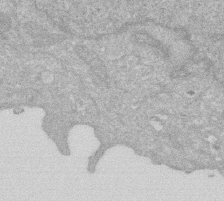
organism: Human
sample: HIV infected U937 cells